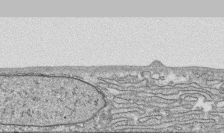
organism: Human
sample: CRL-1474